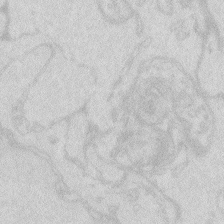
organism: Zebrafish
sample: Macrophage